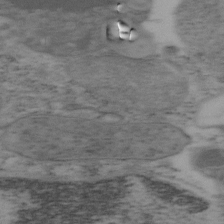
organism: Mouse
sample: OT-I killer T cells with ID8 ovarian cancer cells